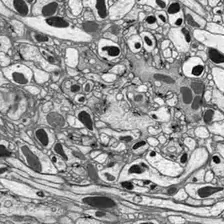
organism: Drosophila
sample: Optic lobe